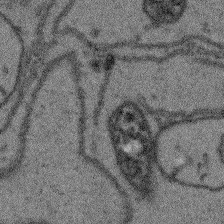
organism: Arabidopsis thaliana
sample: Root tip